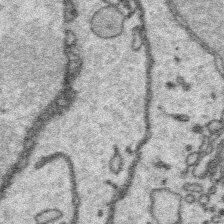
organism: Platynereis dumerilii